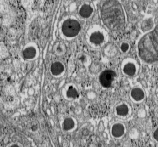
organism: C57BL Mouse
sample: Pancreatic islet